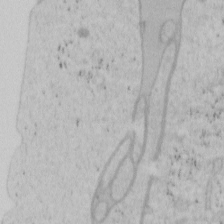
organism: Human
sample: HeLa cells